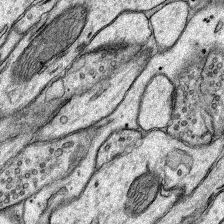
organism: Rat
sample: Hippocampus